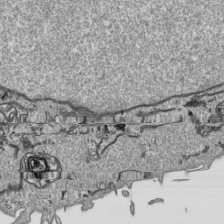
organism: Human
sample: Mitochondria in HCT116 cells